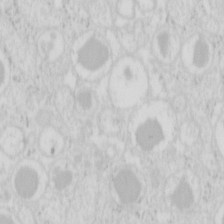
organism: Mouse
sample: Pancreas